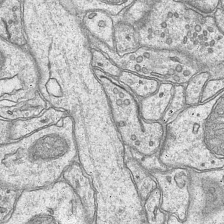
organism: Mouse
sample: CA1 Hippocampus